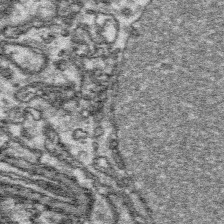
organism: Platynereis dumerilii